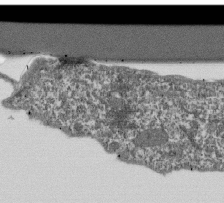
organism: Dictyostelium discoideum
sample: Dictyostelium multivesicular bodies